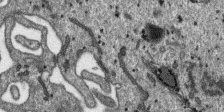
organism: Human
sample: Lung epithelial cells infected with SARS-CoV-2